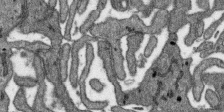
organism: Human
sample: Lung epithelial cells, uninfected (mock) control